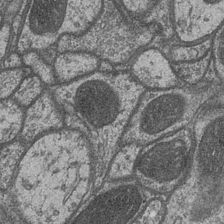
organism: Drosophila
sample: Optic medulla